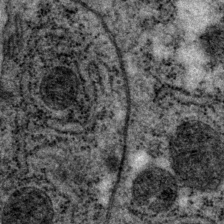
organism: P. pacificus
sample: Pharynx